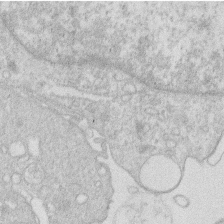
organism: Human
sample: Macrophage cells